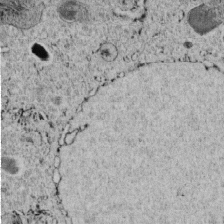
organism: C. elegans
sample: C. elegans embryo early stage